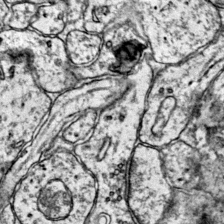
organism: Mouse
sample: Primary visual cortex